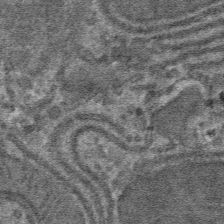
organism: Mouse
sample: Mouse hepatocytes